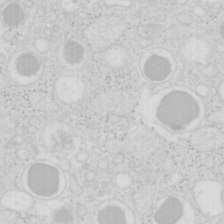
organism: Mouse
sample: Pancreas